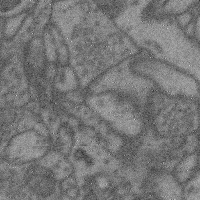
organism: Mouse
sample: Cerebral cortex